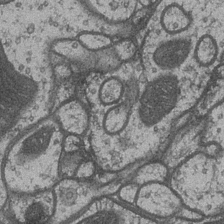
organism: Drosophila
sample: Optic medulla